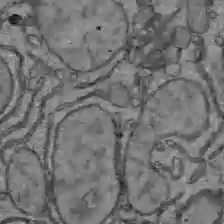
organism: C57BL Mouse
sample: Liver